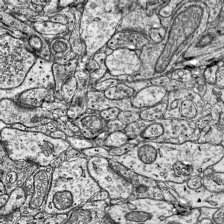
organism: Mouse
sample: Visual Cortex